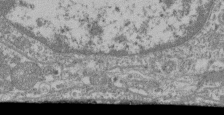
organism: Mouse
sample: Glomerulus